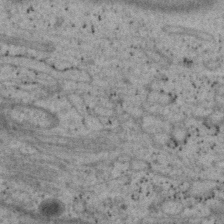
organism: Human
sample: HeLa cells